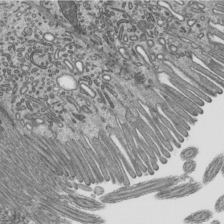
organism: Mouse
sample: Mouse epididymis efferent ductule cilia